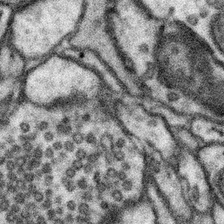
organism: Mouse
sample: Somatosensory cortex neuropil